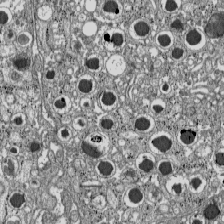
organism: C57BL Mouse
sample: Pancreatic islet